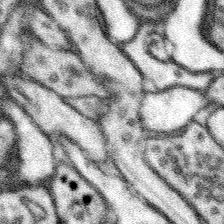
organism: Mouse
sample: Somatosensory cortex neuropil